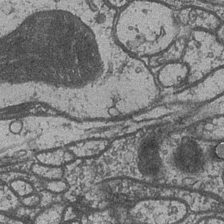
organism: Drosophila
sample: Optic medulla